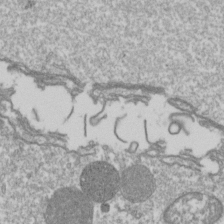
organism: Drosophila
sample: Cell division; meiosis; drosophila spermatocytes